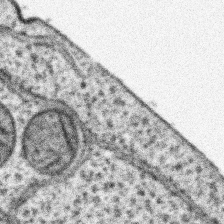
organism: Human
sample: HeLa cells